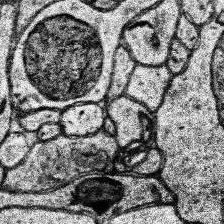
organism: Human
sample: Temporal Lobe